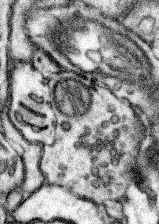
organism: Mouse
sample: Somatosensory cortex neuropil